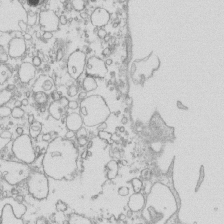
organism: Mouse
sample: Macrophages